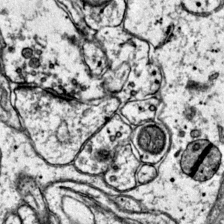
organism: Mouse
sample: Primary visual cortex